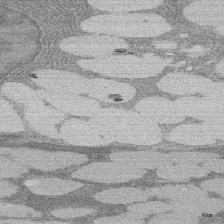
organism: Rat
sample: Salivary granule